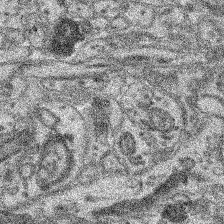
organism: Mouse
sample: Retina